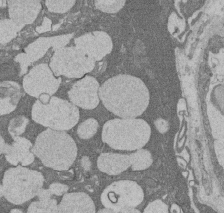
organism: Rat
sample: Salivary granule